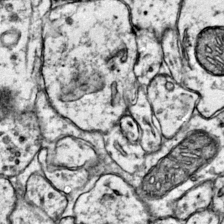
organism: Mouse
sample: Primary visual cortex